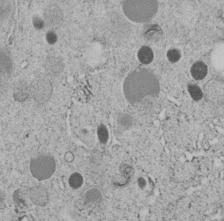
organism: C. elegans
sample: C. elegans embryo early stage